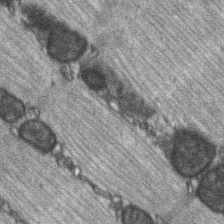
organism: C57BL Mouse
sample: Soleus